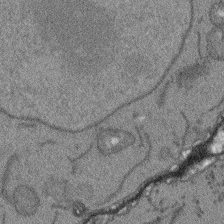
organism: Arabidopsis thaliana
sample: Root tip